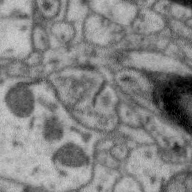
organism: Zebra finch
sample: Brain